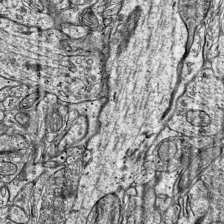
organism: Mouse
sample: Visual Cortex